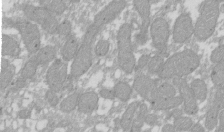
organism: Xenopus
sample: Cilia; centrioles in frog embryo cells